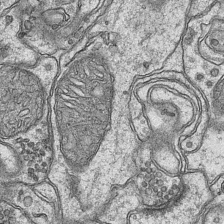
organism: Mouse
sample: CA1 Hippocampus